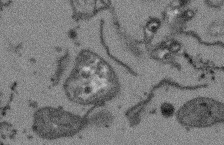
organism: Arabidopsis thaliana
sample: Root tip